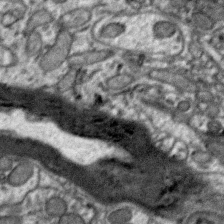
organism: Zebra finch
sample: Brain